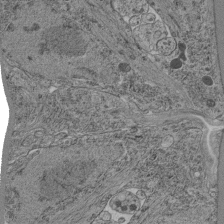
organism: C. elegans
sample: C. elegans pharynx